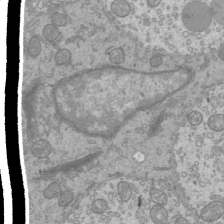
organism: Mouse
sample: Cilia; mouse epididymis